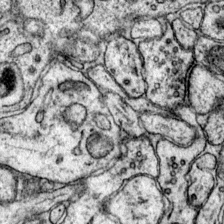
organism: Mouse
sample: Primary visual cortex